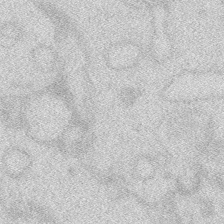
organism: Zebrafish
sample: Macrophage